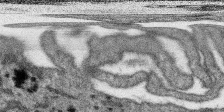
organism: Human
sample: Lung epithelial cells infected with SARS-CoV-2